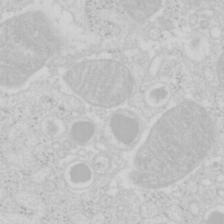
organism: Mouse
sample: Pancreas